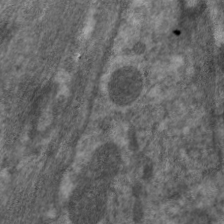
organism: C. elegans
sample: Pharynx